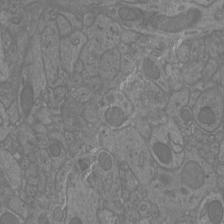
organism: Mouse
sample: Cortical neurons